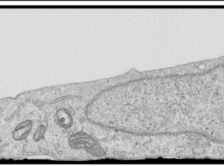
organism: Human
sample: Centriole in RPE cells